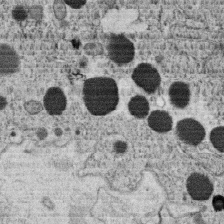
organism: C. elegans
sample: C. elegans oocyte; sperm cells